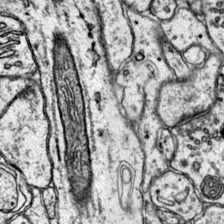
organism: Mouse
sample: Primary visual cortex